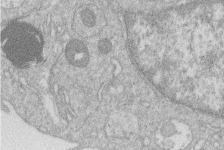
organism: Human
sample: Macrophage cells